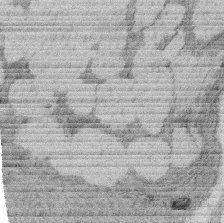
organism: Rat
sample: Salivary granule